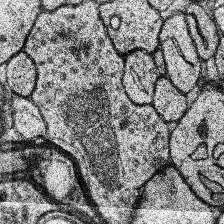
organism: Human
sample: Temporal Lobe